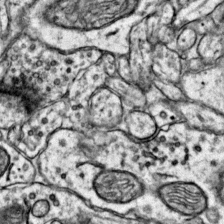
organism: Mouse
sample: Primary visual cortex